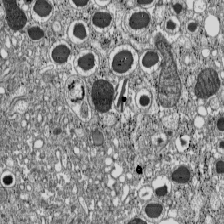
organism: C57BL Mouse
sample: Pancreatic islet